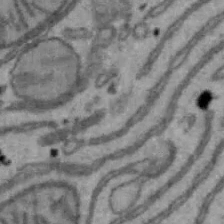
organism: Mouse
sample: Liver